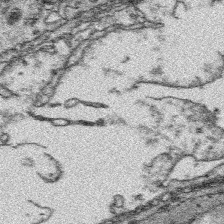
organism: Platynereis dumerilii